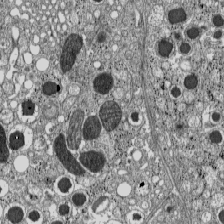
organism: C57BL Mouse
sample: Pancreatic islet